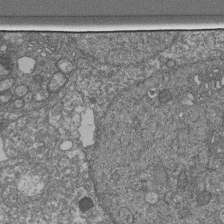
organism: Human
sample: Retinal organoid Rod and Cone cells